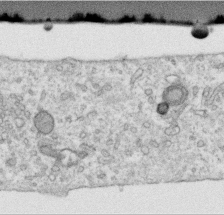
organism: Human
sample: Centriole in RPE cells